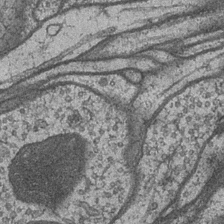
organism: Drosophila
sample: Optic medulla